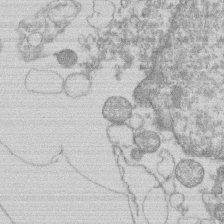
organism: Human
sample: Macrophage cells